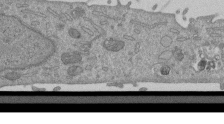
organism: Mouse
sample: ED-1 cell nuclei; centrioles